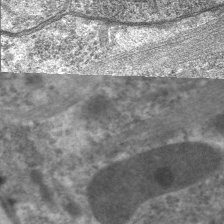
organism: C. elegans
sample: Pharynx